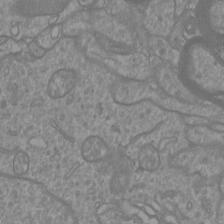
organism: Mouse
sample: Cortical neurons